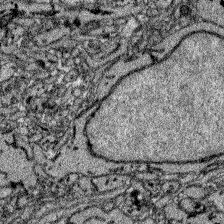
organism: Zebrafish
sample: Larval olfactory bulb